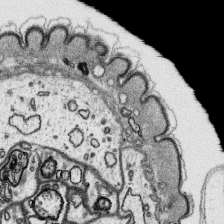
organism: Platynereis dumerilii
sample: Parapodia